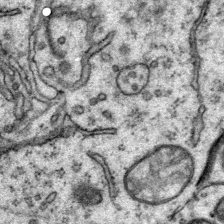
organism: Mouse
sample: Primary visual cortex